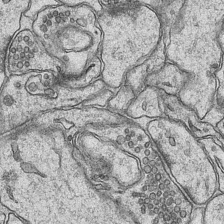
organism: Mouse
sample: CA1 Hippocampus